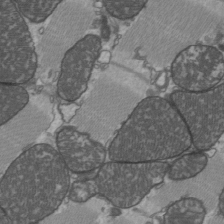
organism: C57BL Mouse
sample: Heart